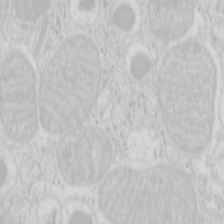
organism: Mouse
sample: Pancreas